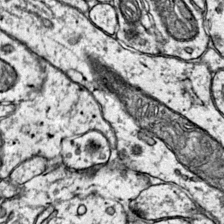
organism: Mouse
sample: Primary visual cortex